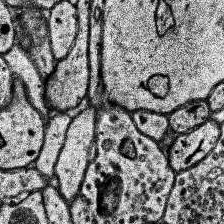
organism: Human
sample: Temporal Lobe